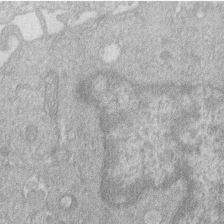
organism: Human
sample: Macrophage cells